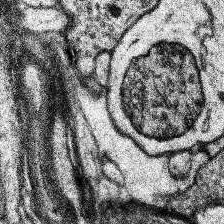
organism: Human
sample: Temporal Lobe